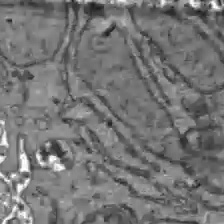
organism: C57BL Mouse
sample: Liver